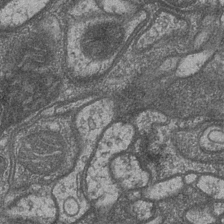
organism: Drosophila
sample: Optic medulla